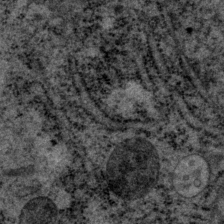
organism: P. pacificus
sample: Pharynx